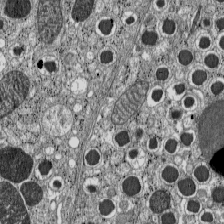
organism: C57BL Mouse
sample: Pancreatic islet